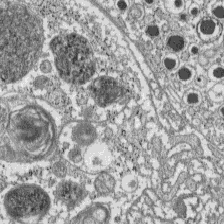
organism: C57BL Mouse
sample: Pancreatic islet